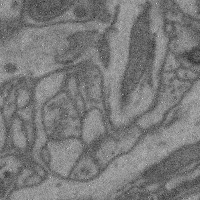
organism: Mouse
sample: Cerebral cortex